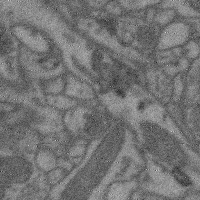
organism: Mouse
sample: Cerebral cortex